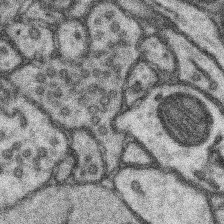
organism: Mouse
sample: Somatosensory cortex neuropil